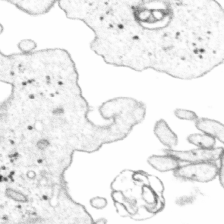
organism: Human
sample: HeLa cells